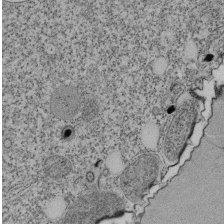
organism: Tetrahymena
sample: Cilia in tetrahymena